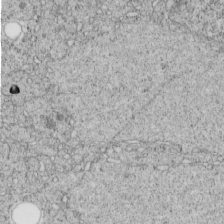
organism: C. elegans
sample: C. elegans embryo early stage